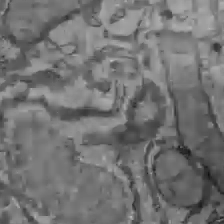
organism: C57BL Mouse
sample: Liver